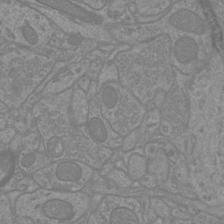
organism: Mouse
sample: Cortical neurons